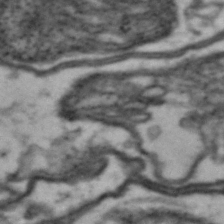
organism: Drosophila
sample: Brain